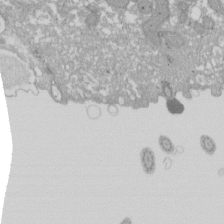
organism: Xenopus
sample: Cilia; centrioles in frog embryo cells